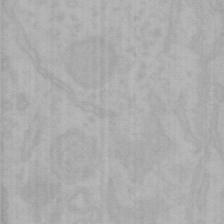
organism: Mouse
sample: Choroid plexus